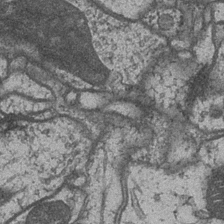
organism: Drosophila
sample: Optic medulla